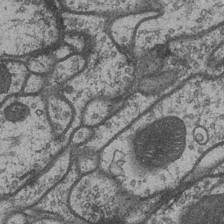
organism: Drosophila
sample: Optic medulla